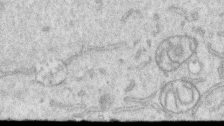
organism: Human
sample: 1205lu cells